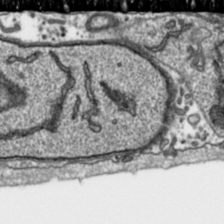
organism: Toxoplasma gondii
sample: Parasites in a vacuole inside a host cell